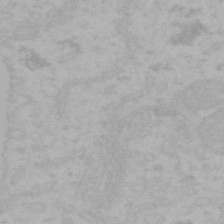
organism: Mouse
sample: Choroid plexus